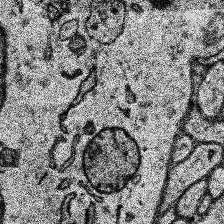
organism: Human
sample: Temporal Lobe